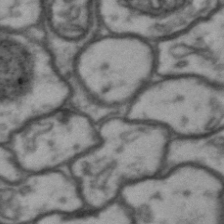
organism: Drosophila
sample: Brain